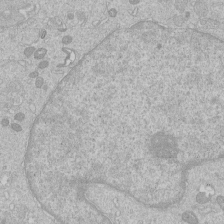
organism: Human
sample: Macrophage cells